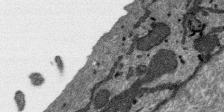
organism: Human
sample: Lung epithelial cells, uninfected (mock) control